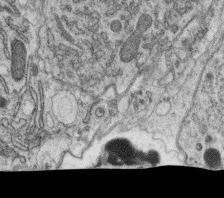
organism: C. elegans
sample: C. elegans oocyte; sperm cells